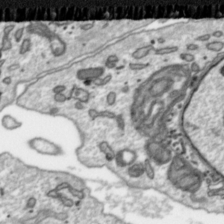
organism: Toxoplasma gondii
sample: Parasites in a vacuole inside a host cell